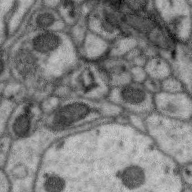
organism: Zebra finch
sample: Brain